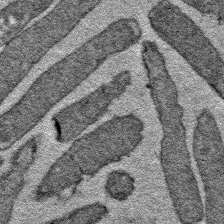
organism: E. coli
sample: E. Coli Bacteria